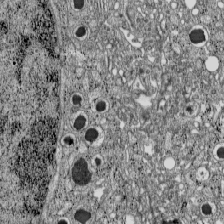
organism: C57BL Mouse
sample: Pancreatic islet